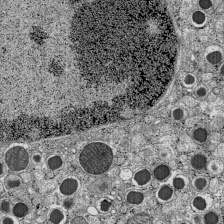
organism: C57BL Mouse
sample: Pancreatic islet